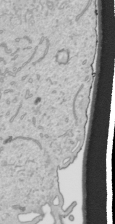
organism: Human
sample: Mitochondria in HCT116 cells